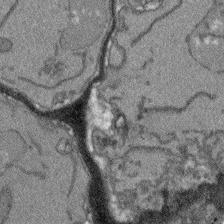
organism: Arabidopsis thaliana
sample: Root tip